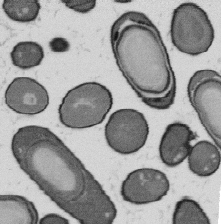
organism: B. subtilis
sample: Bacterial spore